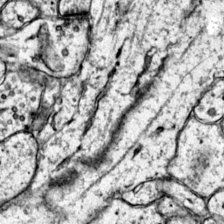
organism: Mouse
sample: Primary visual cortex